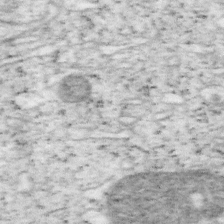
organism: Mouse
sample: OT-I killer T cells with ID8 ovarian cancer cells